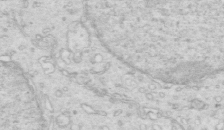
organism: Mouse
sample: Multiciliated cells